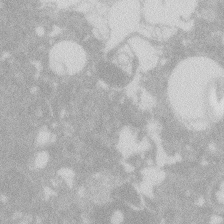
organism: Zebrafish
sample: Macrophage